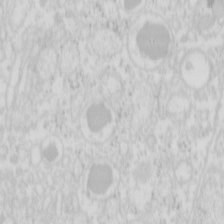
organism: Mouse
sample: Pancreas